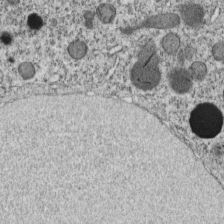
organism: C. elegans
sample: C. elegans embryo early stage